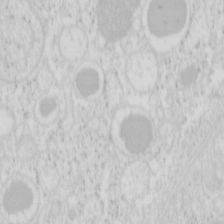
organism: Mouse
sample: Pancreas